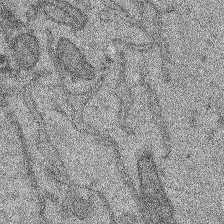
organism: Human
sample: HeLa cells